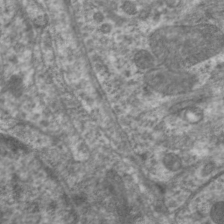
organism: C. elegans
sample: Pharynx